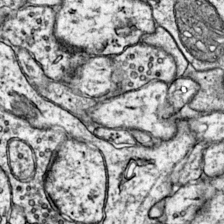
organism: Mouse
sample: Primary visual cortex